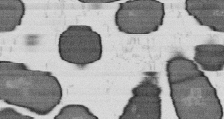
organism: B. subtilis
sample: Bacterial spore